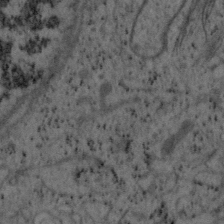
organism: Human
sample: HeLa cells